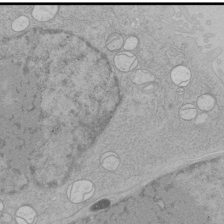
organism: Human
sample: Mitochondria in HCT116 cells